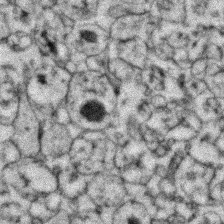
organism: Zebrafish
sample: Zebrafish embryo